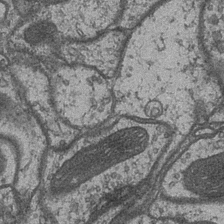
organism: Drosophila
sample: Optic medulla